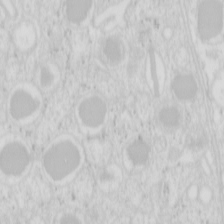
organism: Mouse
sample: Pancreas